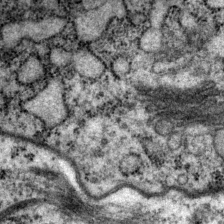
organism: P. pacificus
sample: Pharynx